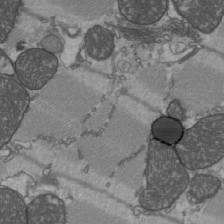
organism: C57BL Mouse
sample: Heart